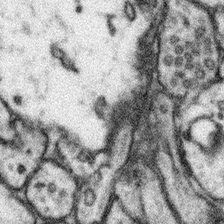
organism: Mouse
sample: Somatosensory cortex neuropil